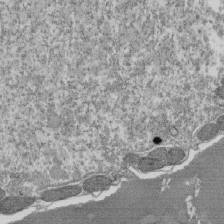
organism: Tetrahymena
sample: Cilia in tetrahymena